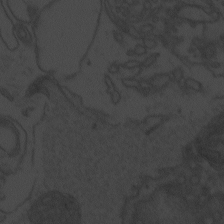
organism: Zebrafish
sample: Macrophage infected with Toxoplasma gondii